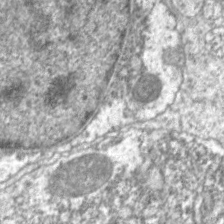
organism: C. elegans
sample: Pharynx